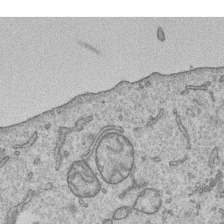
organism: Human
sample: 1205lu cells